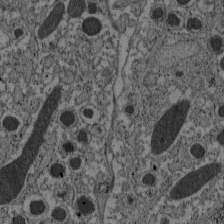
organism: C57BL Mouse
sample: Pancreatic islet